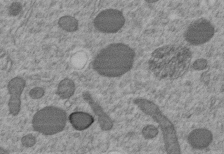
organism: C. elegans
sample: C. elegans embryo early stage